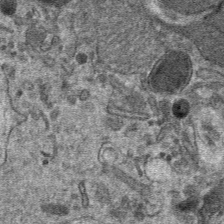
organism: Mouse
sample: Mouse hepatocytes